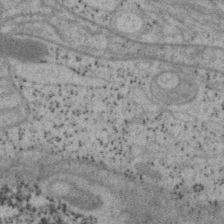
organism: Human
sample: HeLa cells